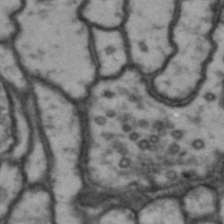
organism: Drosophila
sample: Brain